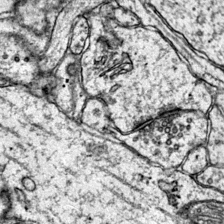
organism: Mouse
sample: Primary visual cortex